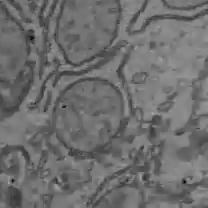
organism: C57BL Mouse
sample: Liver